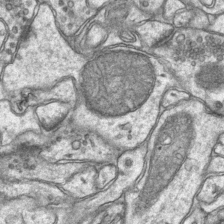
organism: Mouse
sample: CA1 Hippocampus